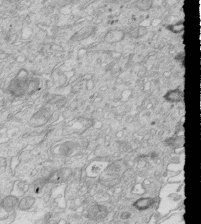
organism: Mouse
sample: Multiciliated cells